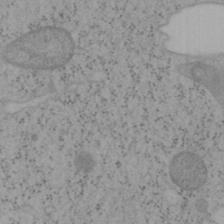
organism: Mouse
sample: OT-I killer T cells with ID8 ovarian cancer cells